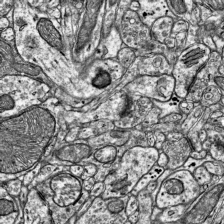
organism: Mouse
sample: Visual Cortex